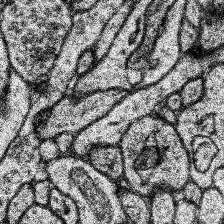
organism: Human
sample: Temporal Lobe